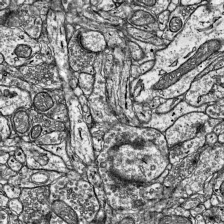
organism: Mouse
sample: Visual Cortex